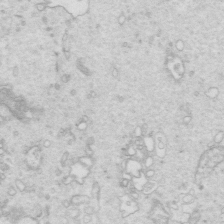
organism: Mouse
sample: Multiciliated cells